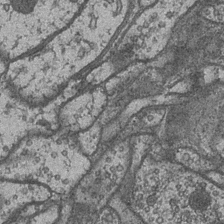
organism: Drosophila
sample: Optic medulla